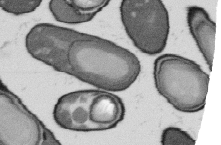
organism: B. subtilis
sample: Bacterial spore